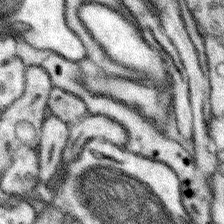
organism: Mouse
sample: Somatosensory cortex neuropil